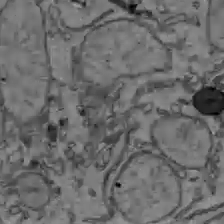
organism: C57BL Mouse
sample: Liver